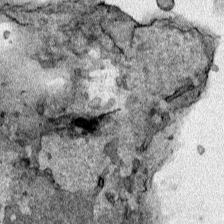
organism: Human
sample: Mitochondria in HCT116 cells